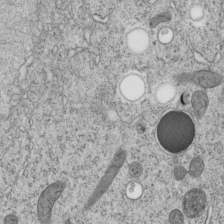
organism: C. elegans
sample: C. elegans embryo early stage